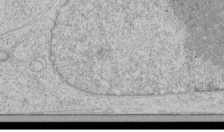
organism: Human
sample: Mitochondria in HCT116 cells